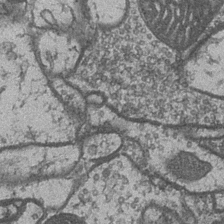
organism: Drosophila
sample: Optic medulla